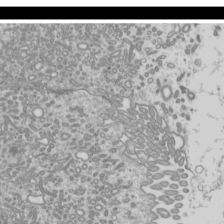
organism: Mouse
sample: Cilia; mouse epididymis